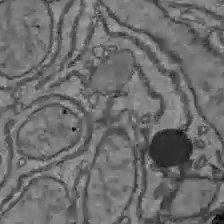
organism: C57BL Mouse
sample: Liver